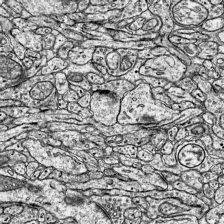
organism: Mouse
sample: Visual Cortex